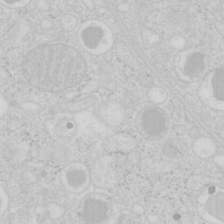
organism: Mouse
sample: Pancreas